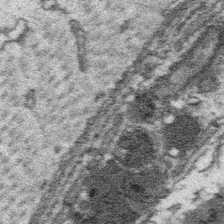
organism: Platynereis dumerilii